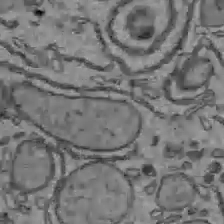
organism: C57BL Mouse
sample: Liver